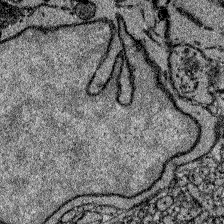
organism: Zebrafish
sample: Larval olfactory bulb